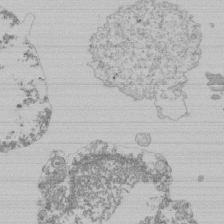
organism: Mouse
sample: Activated Pmel transgenic CD8+ T Cells